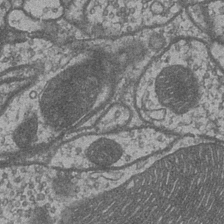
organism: Drosophila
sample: Optic medulla